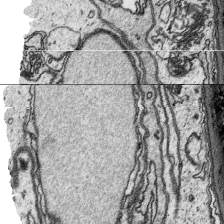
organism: Platynereis dumerilii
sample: Parapodia